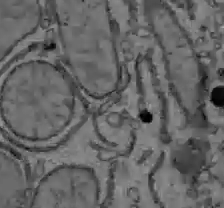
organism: C57BL Mouse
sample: Liver